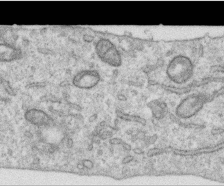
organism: Human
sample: Centriole in RPE cells